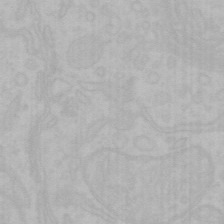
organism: Mouse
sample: Choroid plexus